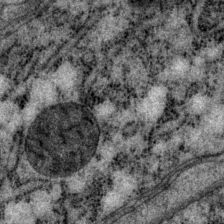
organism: P. pacificus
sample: Pharynx